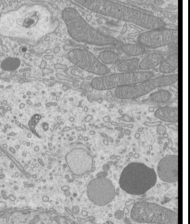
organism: Mouse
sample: Cilia; mouse epididymis